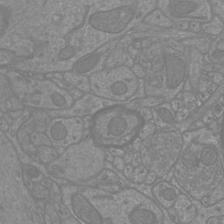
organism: Mouse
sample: Cortical neurons